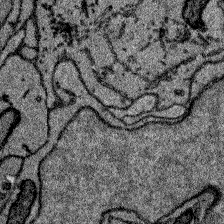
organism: Zebrafish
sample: Larval olfactory bulb